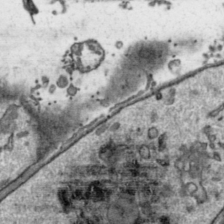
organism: Toxoplasma gondii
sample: Parasites in a vacuole inside a host cell